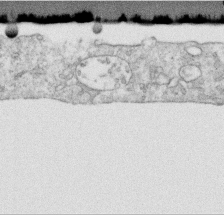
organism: Human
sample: Centriole in RPE cells